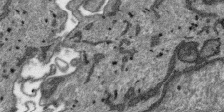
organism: Human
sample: Lung epithelial cells, uninfected (mock) control